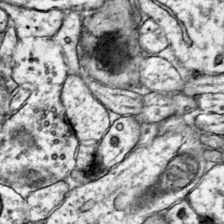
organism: Mouse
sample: Primary visual cortex